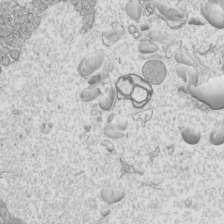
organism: Mouse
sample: Cilia; mouse epididymis